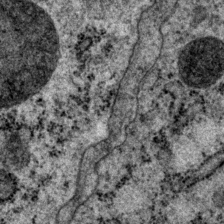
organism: P. pacificus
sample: Pharynx